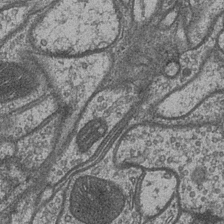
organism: Drosophila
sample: Optic medulla